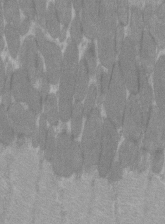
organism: C57BL Mouse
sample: Tibialis anterior muscle cell